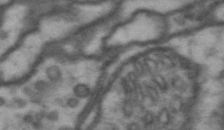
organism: Drosophila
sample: Brain